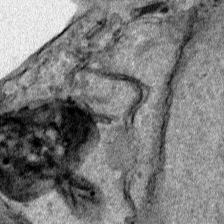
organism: Human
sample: Mitochondria in HCT116 cells